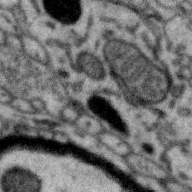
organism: Zebra finch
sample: Brain